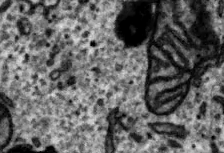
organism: Human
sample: HeLa cells